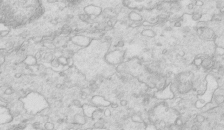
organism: Mouse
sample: Multiciliated cells